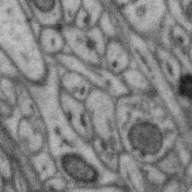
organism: Zebra finch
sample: Brain